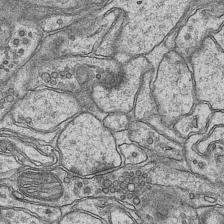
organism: Mouse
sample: CA1 Hippocampus